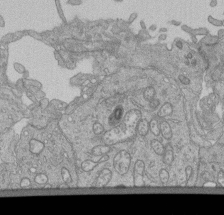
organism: Human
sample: Retinal organoid Rod and Cone cells